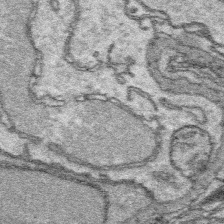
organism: Platynereis dumerilii